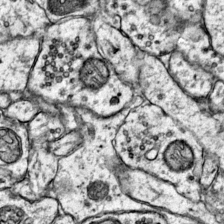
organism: Mouse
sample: Primary visual cortex